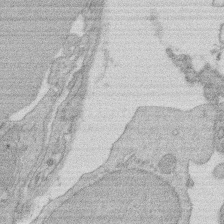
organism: Rat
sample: Salivary granule